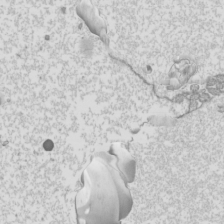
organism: Mouse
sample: Cilia; mouse epididymis